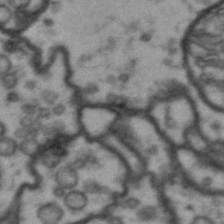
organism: Drosophila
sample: Brain